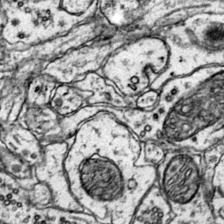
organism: Mouse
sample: Primary visual cortex